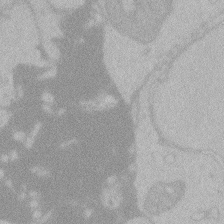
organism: Zebrafish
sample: Macrophage infected with Toxoplasma gondii